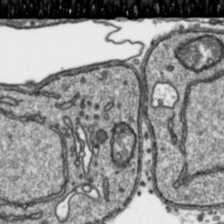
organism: Toxoplasma gondii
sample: Parasites in a vacuole inside a host cell